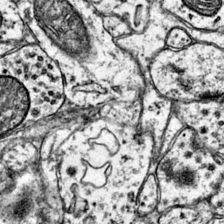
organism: Mouse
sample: Primary visual cortex